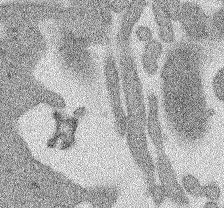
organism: Human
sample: HeLa cells